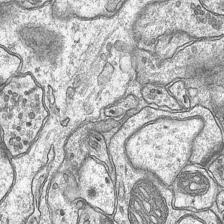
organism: Mouse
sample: CA1 Hippocampus